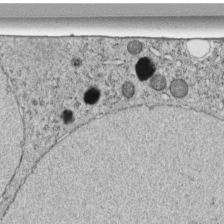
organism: C. elegans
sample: C. elegans embryo early stage